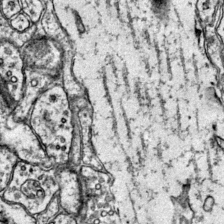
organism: Mouse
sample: Primary visual cortex